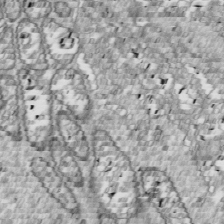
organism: Drosophila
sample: Cell division; meiosis; drosophila spermatocytes